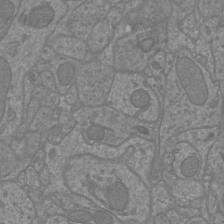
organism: Mouse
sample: Cortical neurons